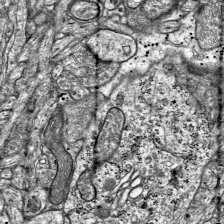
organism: Mouse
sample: Visual Cortex